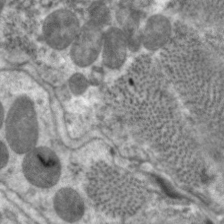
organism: C. elegans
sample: Pharynx